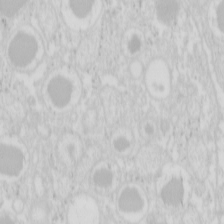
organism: Mouse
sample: Pancreas